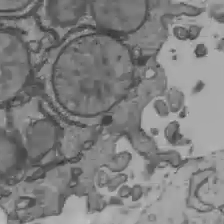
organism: C57BL Mouse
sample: Liver